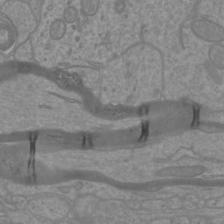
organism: Mouse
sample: Cortical neurons